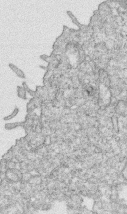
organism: Human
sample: HeLa cell HIV synapse